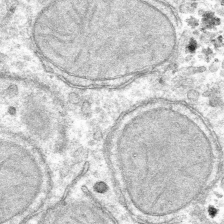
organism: Mouse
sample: Mouse hepatocytes